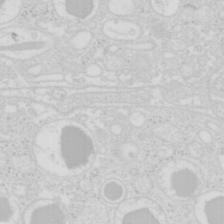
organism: Mouse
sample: Pancreas